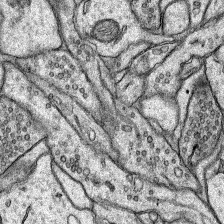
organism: Rat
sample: Hippocampus